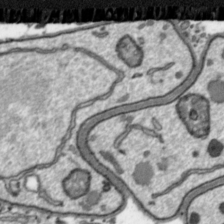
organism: Toxoplasma gondii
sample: Parasites in a vacuole inside a host cell